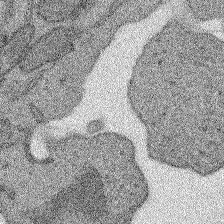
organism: Human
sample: HeLa cells